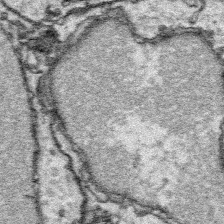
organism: Platynereis dumerilii